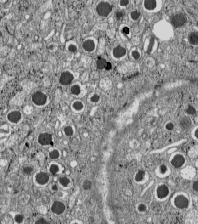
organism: C57BL Mouse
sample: Pancreatic islet